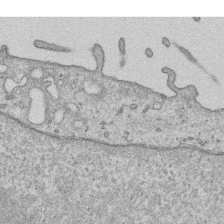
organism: Human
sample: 1205lu cells